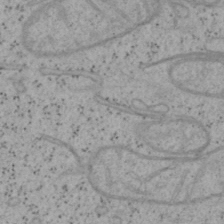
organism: Human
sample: HeLa cells